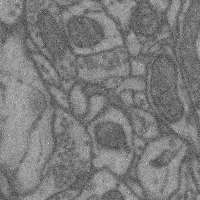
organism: Mouse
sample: Cerebral cortex